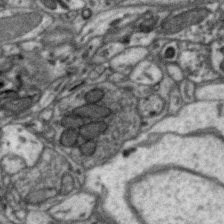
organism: Zebra finch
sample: Brain